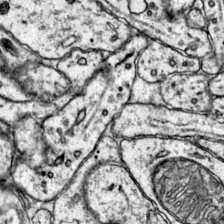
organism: Mouse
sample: Primary visual cortex